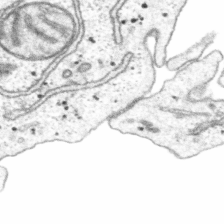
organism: Human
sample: HeLa cells